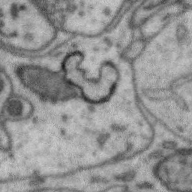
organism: Zebra finch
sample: Brain